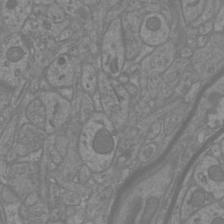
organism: Mouse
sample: Cortical neurons